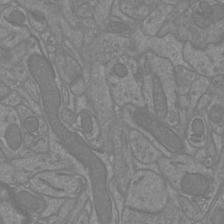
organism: Mouse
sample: Cortical neurons